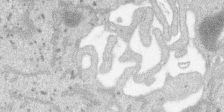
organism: Human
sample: Lung epithelial cells infected with SARS-CoV-2